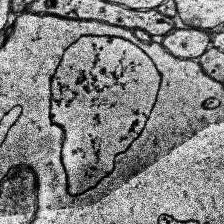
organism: Human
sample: Temporal Lobe